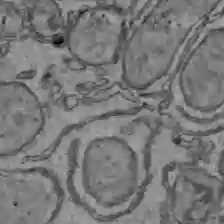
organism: C57BL Mouse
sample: Liver